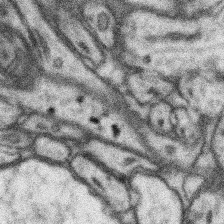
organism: Mouse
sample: Somatosensory cortex neuropil